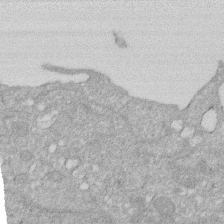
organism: Human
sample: HIV infected U937 cells